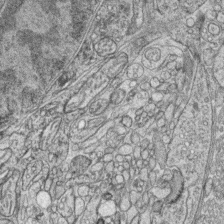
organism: Zebrafish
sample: synaptic ribbons in rod cells and cone cells